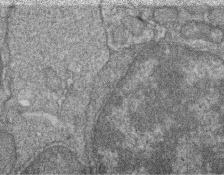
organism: Zebrafish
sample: Cilia; retinal pigment epithelium